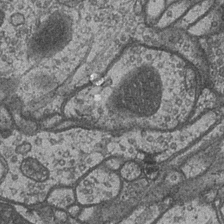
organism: Drosophila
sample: Optic medulla